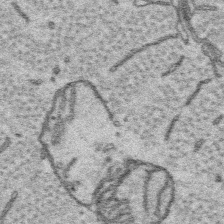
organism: Platynereis dumerilii